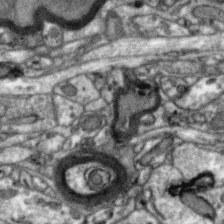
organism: Zebra finch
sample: Brain